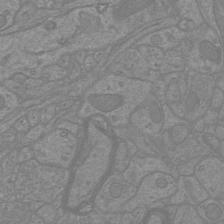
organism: Mouse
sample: Cortical neurons